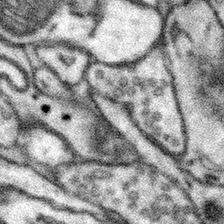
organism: Mouse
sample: Somatosensory cortex neuropil